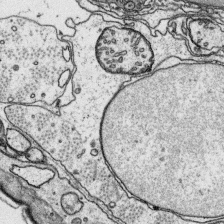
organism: Platynereis dumerilii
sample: Parapodia